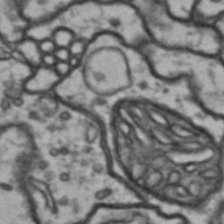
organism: Drosophila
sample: Brain